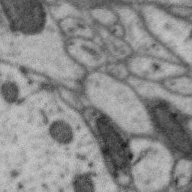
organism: Zebra finch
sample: Brain